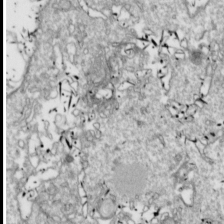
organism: Drosophila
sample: Cell division; meiosis; drosophila spermatocytes